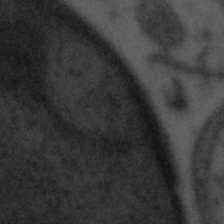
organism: Tuwongella immobilis